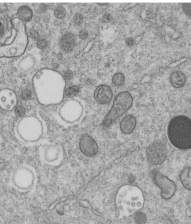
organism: C. elegans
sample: C. elegans embryo early stage